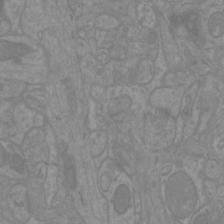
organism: Mouse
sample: Cortical neurons